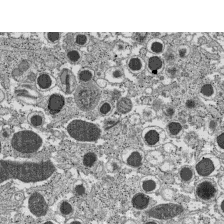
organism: C57BL Mouse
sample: Pancreatic islet